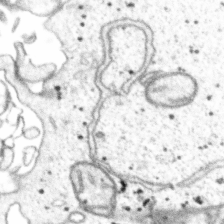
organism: Human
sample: HeLa cells